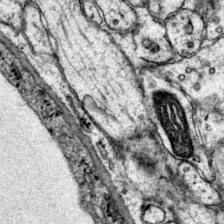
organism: Mouse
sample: Primary visual cortex